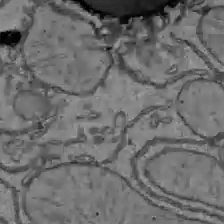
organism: C57BL Mouse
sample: Liver